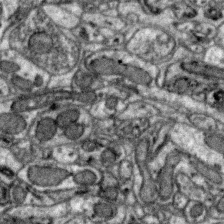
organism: Zebra finch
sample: Brain